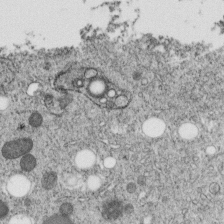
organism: C. elegans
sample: C. elegans embryo early stage